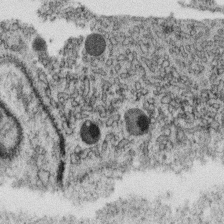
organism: C. elegans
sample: C. elegans oocyte; sperm cells